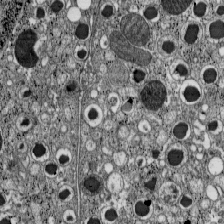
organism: C57BL Mouse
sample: Pancreatic islet